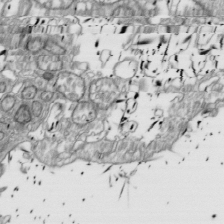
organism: Drosophila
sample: Cell division; meiosis; drosophila spermatocytes